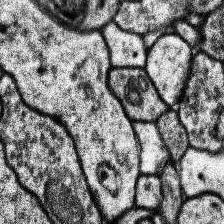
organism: Human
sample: Temporal Lobe